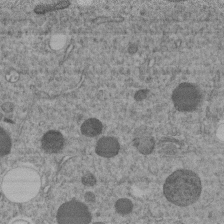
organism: C. elegans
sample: C. elegans embryo early stage